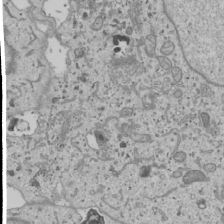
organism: Human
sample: Mitochondria in U2OS cells